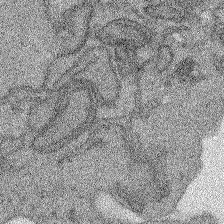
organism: Human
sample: HeLa cells